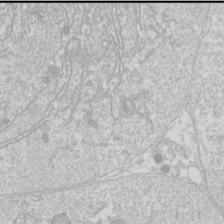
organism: Drosophila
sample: Cell division; meiosis; drosophila spermatocytes